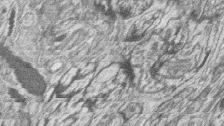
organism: Zebrafish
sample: synaptic ribbons in rod cells and cone cells